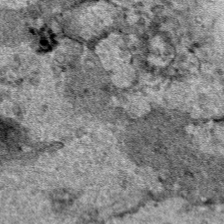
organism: Human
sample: Mitochondria in HCT116 cells